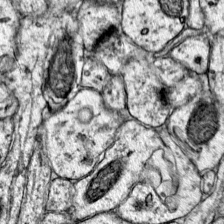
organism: Mouse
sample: Primary visual cortex